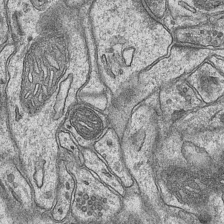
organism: Mouse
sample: CA1 Hippocampus